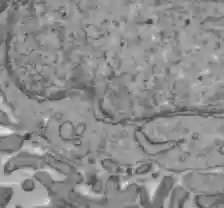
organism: C57BL Mouse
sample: Liver